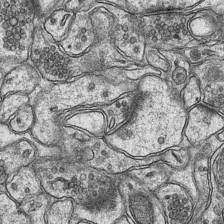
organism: Mouse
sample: CA1 Hippocampus